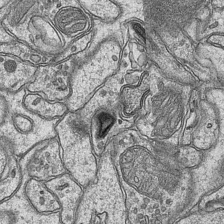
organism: Mouse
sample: CA1 Hippocampus